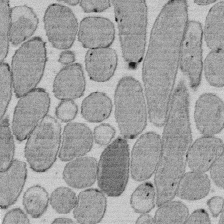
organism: E. coli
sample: Bacterial nucleoid